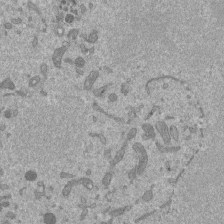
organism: Mouse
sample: ED-1 cell nuclei; centrioles